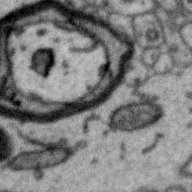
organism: Zebra finch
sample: Brain